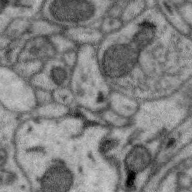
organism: Zebra finch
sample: Brain